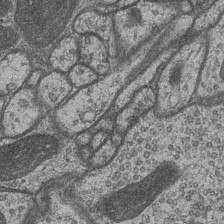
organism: Drosophila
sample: Optic medulla